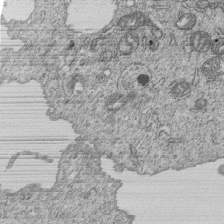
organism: Human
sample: MDA-MB-231 cells